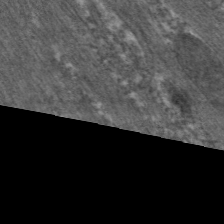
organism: C. elegans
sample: Pharynx